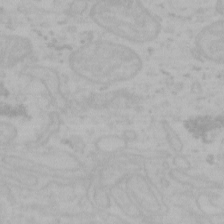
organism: Mouse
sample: Choroid plexus